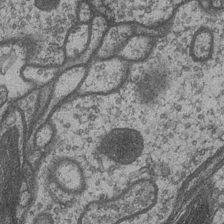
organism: Drosophila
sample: Optic medulla